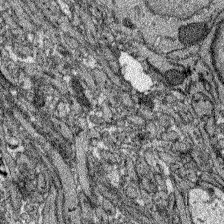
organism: Zebrafish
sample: Larval olfactory bulb